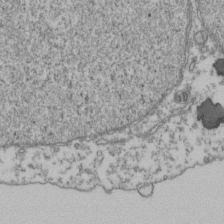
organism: Human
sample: Activated Jurkat CD4+ T cells